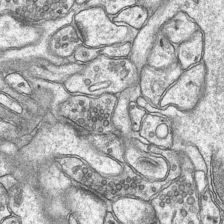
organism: Mouse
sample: CA1 Hippocampus